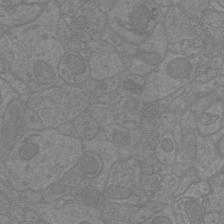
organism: Mouse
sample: Cortical neurons